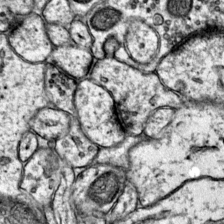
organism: Mouse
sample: Primary visual cortex